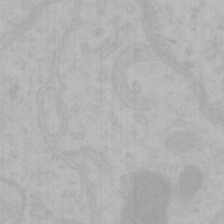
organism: Mouse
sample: Choroid plexus